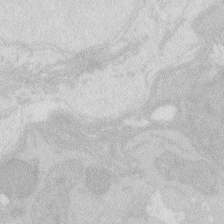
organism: Zebrafish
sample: Macrophage